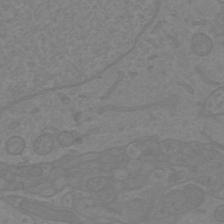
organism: Mouse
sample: Cortical neurons